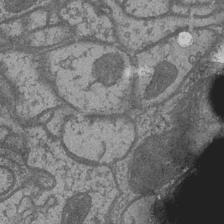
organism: Drosophila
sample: Optic medulla